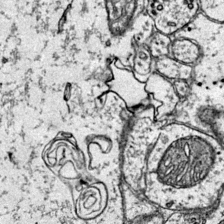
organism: Mouse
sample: Primary visual cortex